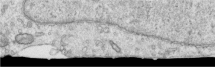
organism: Human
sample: Centriole in RPE cells